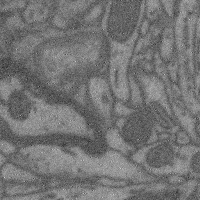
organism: Mouse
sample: Cerebral cortex